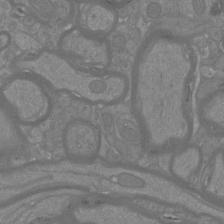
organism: Mouse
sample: Cortical neurons